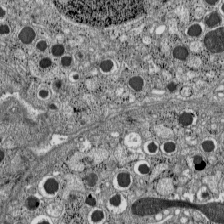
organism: C57BL Mouse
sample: Pancreatic islet